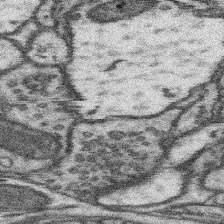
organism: Mouse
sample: Somatosensory cortex neuropil